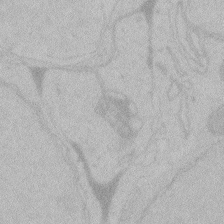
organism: Zebrafish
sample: Macrophage infected with Toxoplasma gondii